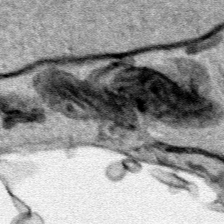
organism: Human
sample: Mitochondria in HCT116 cells